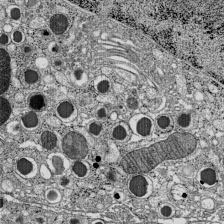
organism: C57BL Mouse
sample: Pancreatic islet